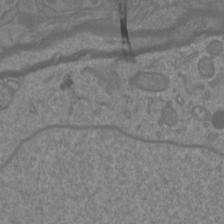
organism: Mouse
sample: Cortical neurons